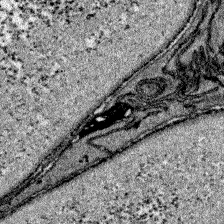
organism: Zebrafish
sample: Larval olfactory bulb